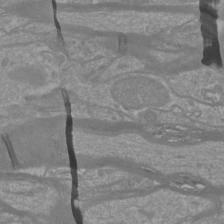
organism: Mouse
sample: Cortical neurons